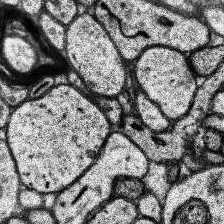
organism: Human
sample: Temporal Lobe